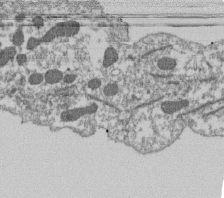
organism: Dictyostelium discoideum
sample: Dictyostelium multivesicular bodies